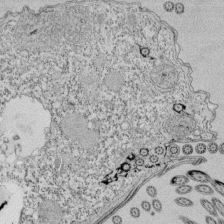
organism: Tetrahymena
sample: Cilia in tetrahymena